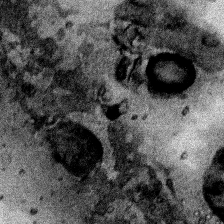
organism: Human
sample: Mitochondria in HCT116 cells